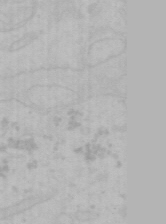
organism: Mouse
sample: Choroid plexus